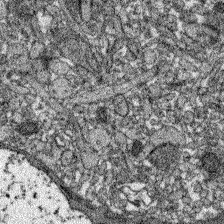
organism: Zebrafish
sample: Larval olfactory bulb